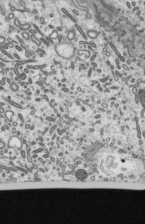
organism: Mouse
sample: Mouse epididymis efferent ductule cilia